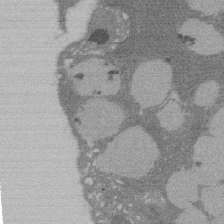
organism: Rat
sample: Salivary granule